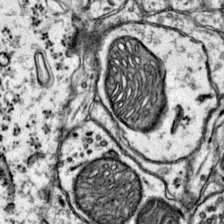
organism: Mouse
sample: Primary visual cortex